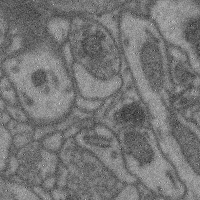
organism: Mouse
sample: Cerebral cortex